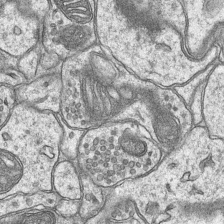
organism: Mouse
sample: CA1 Hippocampus